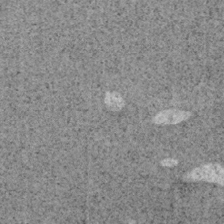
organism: Mouse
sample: OT-I killer T cells with ID8 ovarian cancer cells